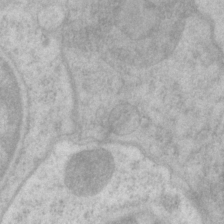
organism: P. pacificus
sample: Pharynx